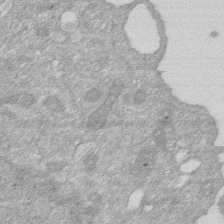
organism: Human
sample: HIV infected U937 cells